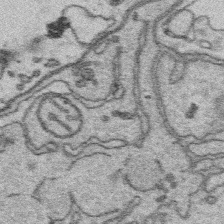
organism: Platynereis dumerilii